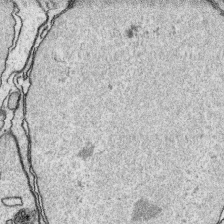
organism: Platynereis dumerilii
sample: Parapodia